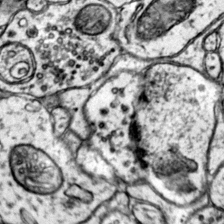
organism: Mouse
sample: Primary visual cortex